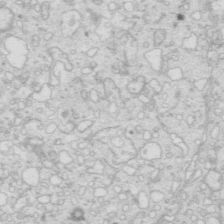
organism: Mouse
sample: Multiciliated cells